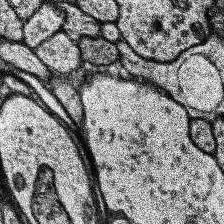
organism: Human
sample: Temporal Lobe